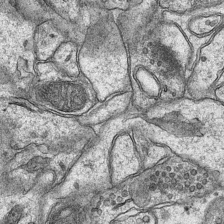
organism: Mouse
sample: CA1 Hippocampus